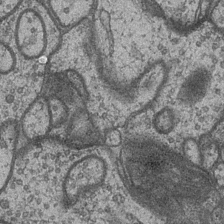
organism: Drosophila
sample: Optic medulla